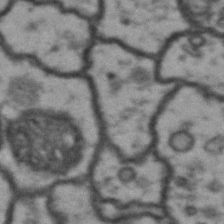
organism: Drosophila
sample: Brain